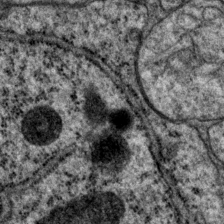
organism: P. pacificus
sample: Pharynx